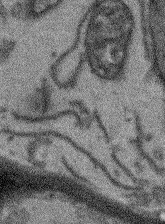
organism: Arabidopsis thaliana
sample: Root tip